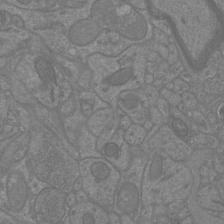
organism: Mouse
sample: Cortical neurons